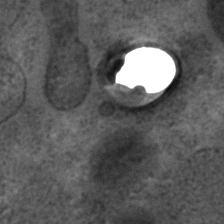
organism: C. elegans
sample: C. elegans embryo